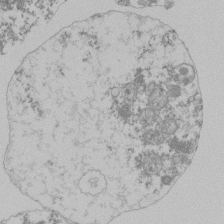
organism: Mouse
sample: Activated Pmel transgenic CD8+ T Cells